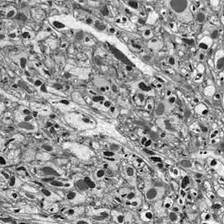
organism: Drosophila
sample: Optic lobe